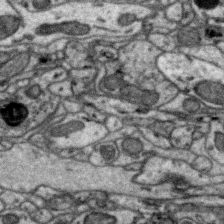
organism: Zebra finch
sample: Brain